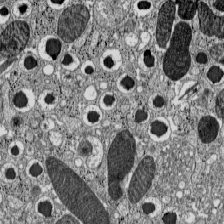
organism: C57BL Mouse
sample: Pancreatic islet